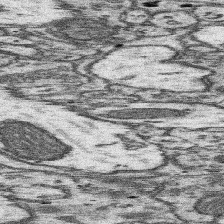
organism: Mouse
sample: Somatosensory cortex neuropil